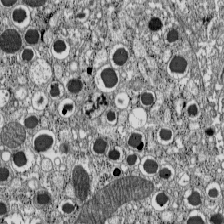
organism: C57BL Mouse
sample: Pancreatic islet